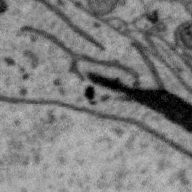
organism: Zebra finch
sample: Brain